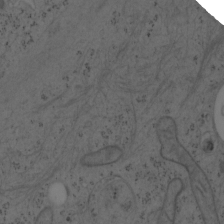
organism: Mouse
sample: OT-I killer T cells with ID8 ovarian cancer cells